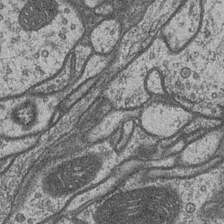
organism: Drosophila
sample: Optic medulla